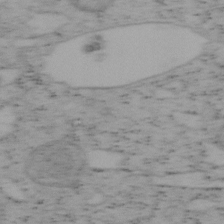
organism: Mouse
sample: OT-I killer T cells with ID8 ovarian cancer cells